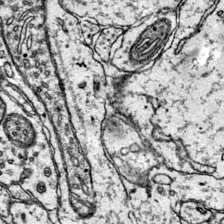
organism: Mouse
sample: Primary visual cortex